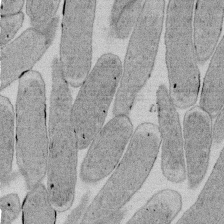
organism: E. coli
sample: Bacterial nucleoid